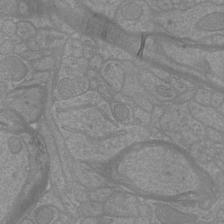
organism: Mouse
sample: Cortical neurons